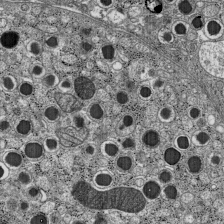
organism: C57BL Mouse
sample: Pancreatic islet